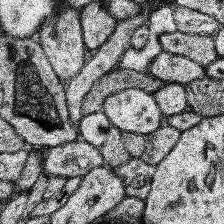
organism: Human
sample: Temporal Lobe